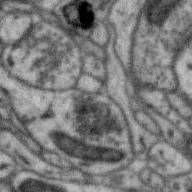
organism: Zebra finch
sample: Brain